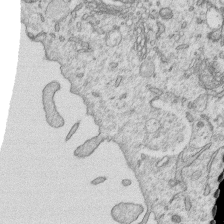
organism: Human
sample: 1205lu cells